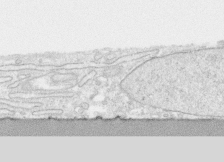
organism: Human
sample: CRL-1474